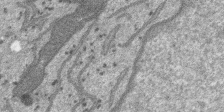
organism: Human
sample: Lung epithelial cells infected with SARS-CoV-2